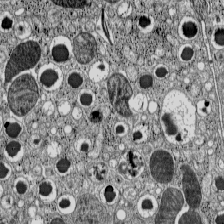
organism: C57BL Mouse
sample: Pancreatic islet